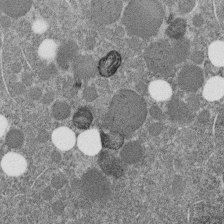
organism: C. elegans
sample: C. elegans embryo early stage